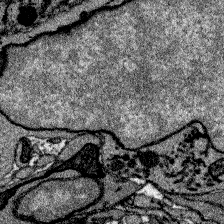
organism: Zebrafish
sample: Larval olfactory bulb